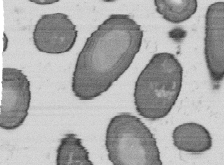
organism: B. subtilis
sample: Bacterial spore